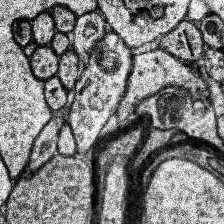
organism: Human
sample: Temporal Lobe